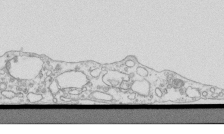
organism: Mouse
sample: Macrophages